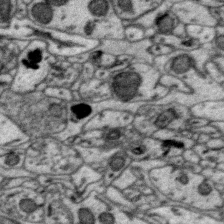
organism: Zebra finch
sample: Brain